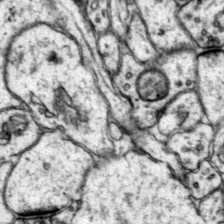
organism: Mouse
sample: Primary visual cortex